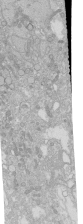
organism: Human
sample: Caco-2 cells